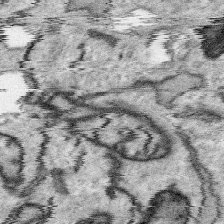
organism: Human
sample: HeLa cells